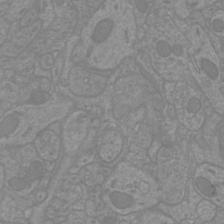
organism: Mouse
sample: Cortical neurons